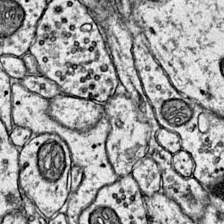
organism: Mouse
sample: Primary visual cortex